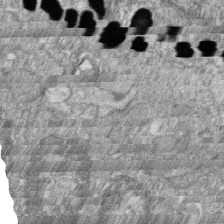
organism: Zebrafish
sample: Cilia; retinal pigment epithelium